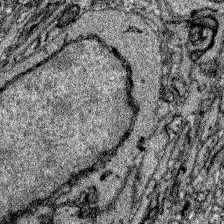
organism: Zebrafish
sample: Larval olfactory bulb